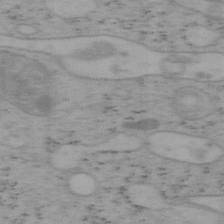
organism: Mouse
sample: OT-I killer T cells with ID8 ovarian cancer cells